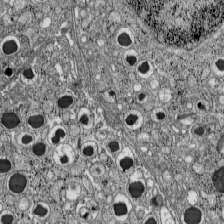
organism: C57BL Mouse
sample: Pancreatic islet